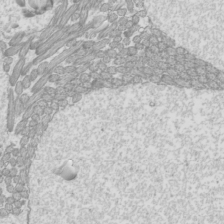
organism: Mouse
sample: Cilia; mouse epididymis